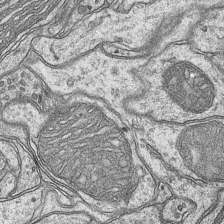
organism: Mouse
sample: CA1 Hippocampus